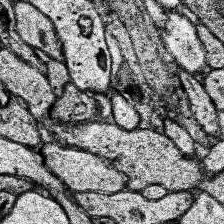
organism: Human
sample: Temporal Lobe